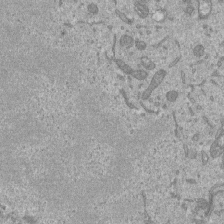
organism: Mouse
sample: ED-1 cell nuclei; centrioles